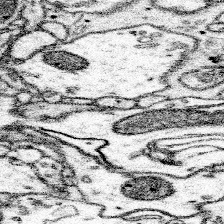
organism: Mouse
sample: Somatosensory cortex neuropil